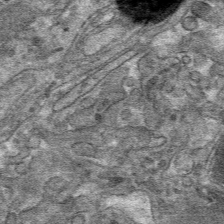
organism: Mouse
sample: Mouse hepatocytes